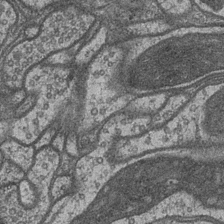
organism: Drosophila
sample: Optic medulla